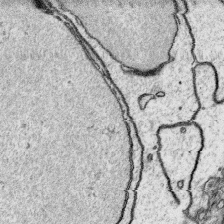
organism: Platynereis dumerilii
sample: Parapodia